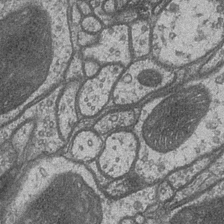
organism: Drosophila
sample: Optic medulla